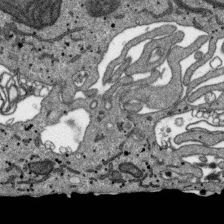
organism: Human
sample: Lung epithelial cells, uninfected (mock) control